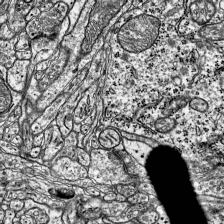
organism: Mouse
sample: Visual Cortex